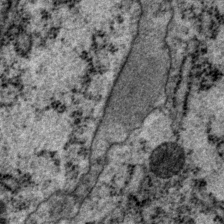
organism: P. pacificus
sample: Pharynx